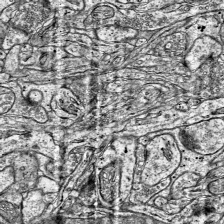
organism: Mouse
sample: Visual Cortex